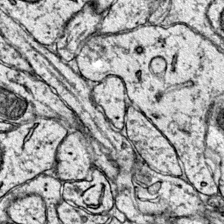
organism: Mouse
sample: Primary visual cortex